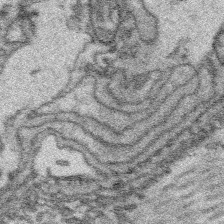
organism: Platynereis dumerilii